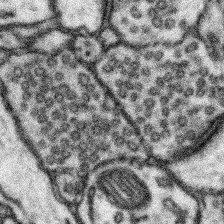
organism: Mouse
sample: Somatosensory cortex neuropil